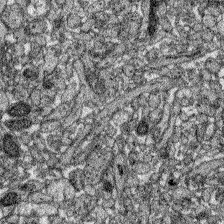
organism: Zebrafish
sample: Larval olfactory bulb